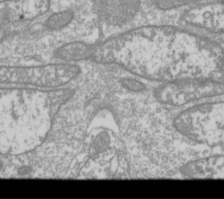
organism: Drosophila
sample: Cell division; meiosis; drosophila spermatocytes